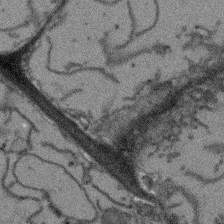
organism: Arabidopsis thaliana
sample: Root tip